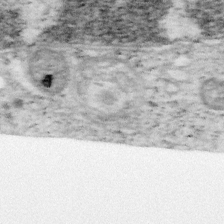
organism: Mouse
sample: OT-I killer T cells with ID8 ovarian cancer cells